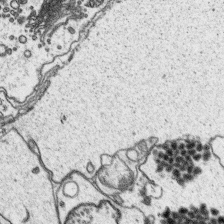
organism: Platynereis dumerilii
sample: Parapodia